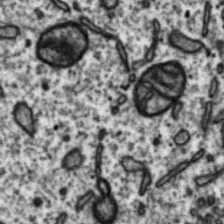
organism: Human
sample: HeLa cells